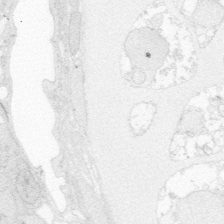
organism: Zebrafish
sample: Whole-Brain